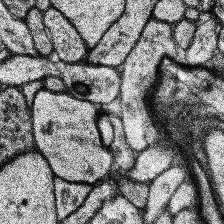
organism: Human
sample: Temporal Lobe